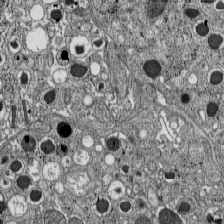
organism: C57BL Mouse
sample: Pancreatic islet